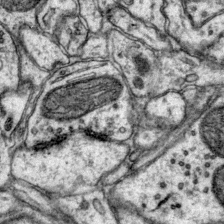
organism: Mouse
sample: Primary visual cortex